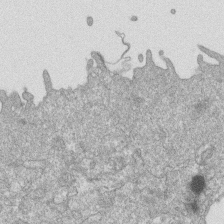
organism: Human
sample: HeLa cell HIV synapse